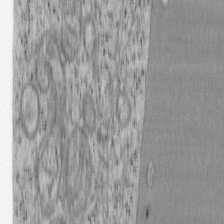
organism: Human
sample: HeLa cells